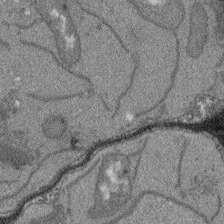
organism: Arabidopsis thaliana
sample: Root tip